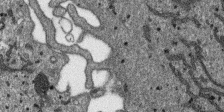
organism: Human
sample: Lung epithelial cells infected with SARS-CoV-2